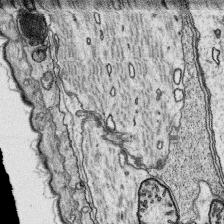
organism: Platynereis dumerilii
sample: Parapodia